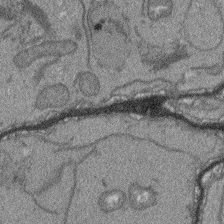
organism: Arabidopsis thaliana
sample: Root tip